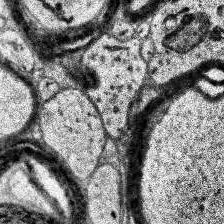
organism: Human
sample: Temporal Lobe